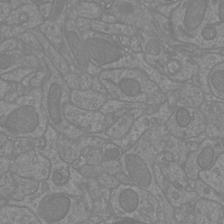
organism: Mouse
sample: Cortical neurons